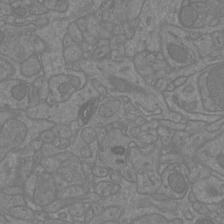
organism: Mouse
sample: Cortical neurons